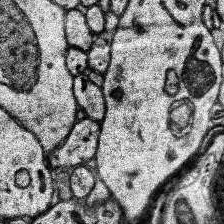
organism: Human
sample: Temporal Lobe